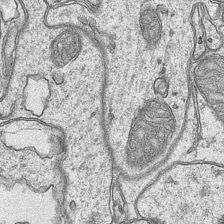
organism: Mouse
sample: CA1 Hippocampus